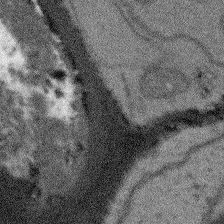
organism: Arabidopsis thaliana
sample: Root tip